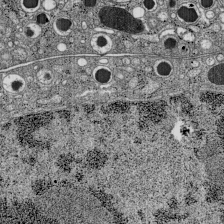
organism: C57BL Mouse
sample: Pancreatic islet